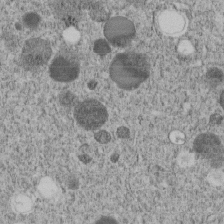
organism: C. elegans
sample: C. elegans embryo early stage